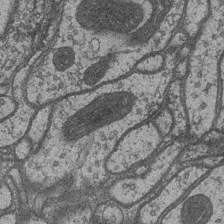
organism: Drosophila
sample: Optic medulla